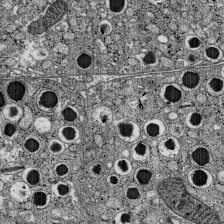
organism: C57BL Mouse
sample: Pancreatic islet